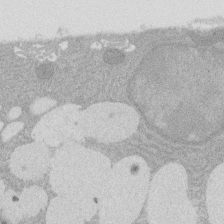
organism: Rat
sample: Salivary granule